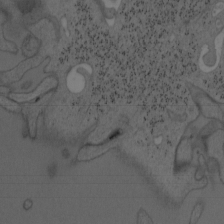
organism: Mouse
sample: OT-I killer T cells with ID8 ovarian cancer cells